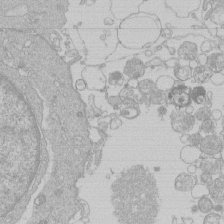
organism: Human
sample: Macrophage cells